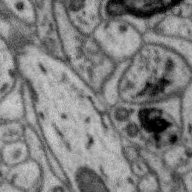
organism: Zebra finch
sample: Brain